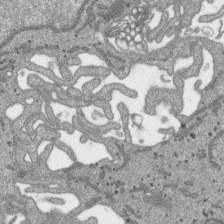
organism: Human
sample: Lung epithelial cells infected with SARS-CoV-2